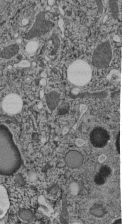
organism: C. elegans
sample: C. elegans pharynx